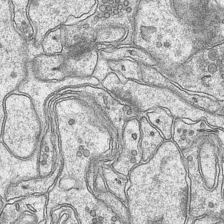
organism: Mouse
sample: CA1 Hippocampus